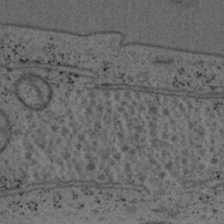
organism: Human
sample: HeLa cells